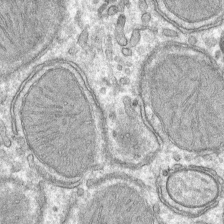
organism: Mouse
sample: Mouse hepatocytes